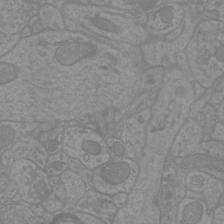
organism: Mouse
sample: Cortical neurons